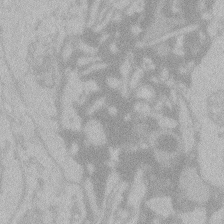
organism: Zebrafish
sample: Macrophage infected with Toxoplasma gondii